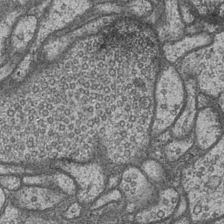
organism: Drosophila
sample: Optic medulla